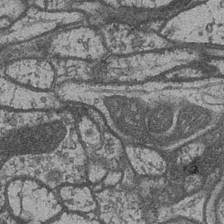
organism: Drosophila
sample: Optic medulla